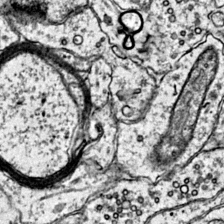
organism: Mouse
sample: Primary visual cortex